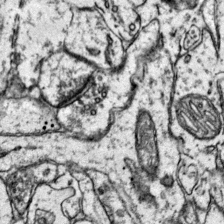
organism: Mouse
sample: Primary visual cortex